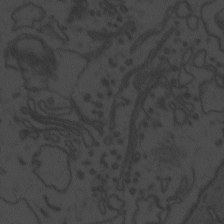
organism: Zebrafish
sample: Macrophage infected with Toxoplasma gondii